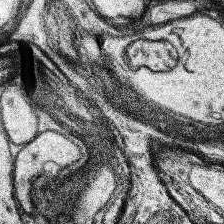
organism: Human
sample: Temporal Lobe